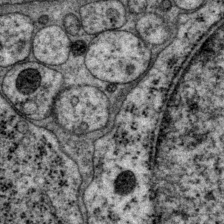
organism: P. pacificus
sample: Pharynx